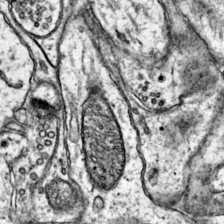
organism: Mouse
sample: Primary visual cortex